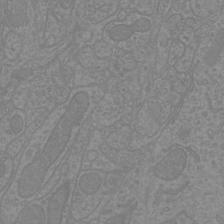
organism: Mouse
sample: Cortical neurons